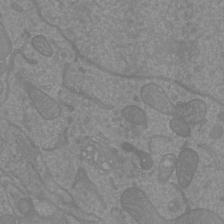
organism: Mouse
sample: Cortical neurons